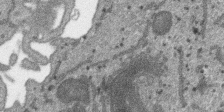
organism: Human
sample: Lung epithelial cells infected with SARS-CoV-2